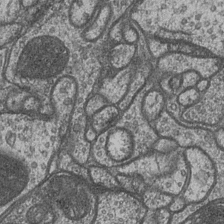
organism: Drosophila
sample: Optic medulla